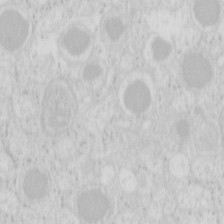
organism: Mouse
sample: Pancreas